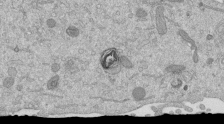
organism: Mouse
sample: ED-1 cell nuclei; centrioles